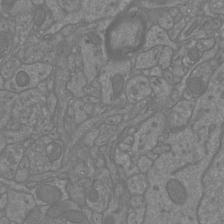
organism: Mouse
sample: Cortical neurons